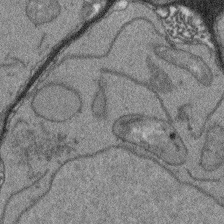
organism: Arabidopsis thaliana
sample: Root tip